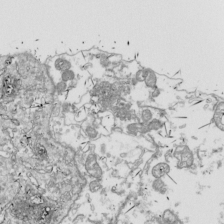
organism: Drosophila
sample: Cell division; meiosis; drosophila spermatocytes